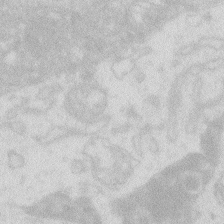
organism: Zebrafish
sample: Macrophage